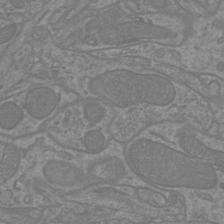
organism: Mouse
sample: Cortical neurons